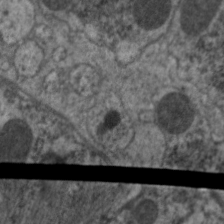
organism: C. elegans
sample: Pharynx